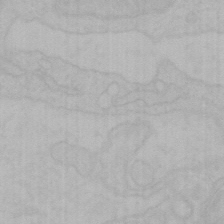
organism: Mouse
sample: Choroid plexus